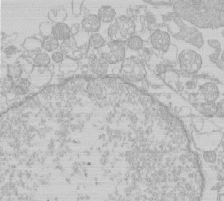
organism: Human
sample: Macrophage cells